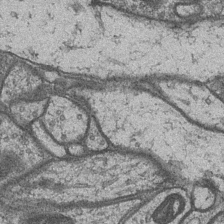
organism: Drosophila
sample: Optic medulla